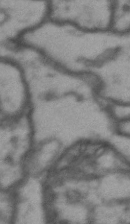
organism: Drosophila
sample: Brain